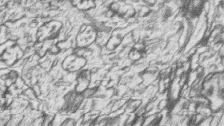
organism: Zebrafish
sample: synaptic ribbons in rod cells and cone cells